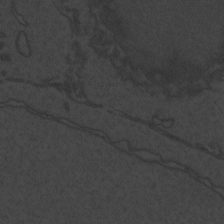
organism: Zebrafish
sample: Macrophage infected with Toxoplasma gondii